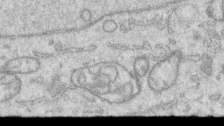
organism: Human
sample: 1205lu cells